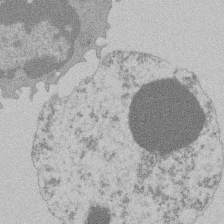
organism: Mouse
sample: Activated Pmel transgenic CD8+ T Cells